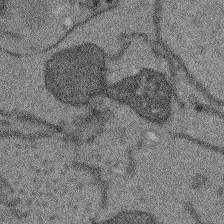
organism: Arabidopsis thaliana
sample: Root tip